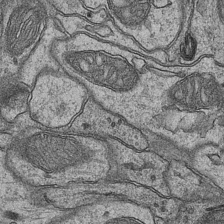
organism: Mouse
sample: CA1 Hippocampus